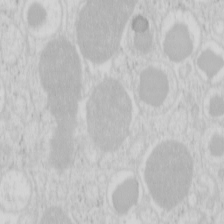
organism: Mouse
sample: Pancreas